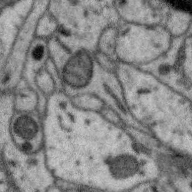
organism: Zebra finch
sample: Brain